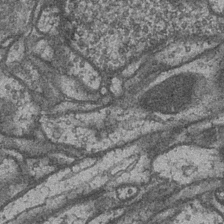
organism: Drosophila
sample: Optic medulla